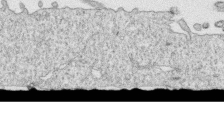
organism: Human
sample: HeLa cell HIV synapse